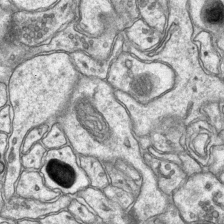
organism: Mouse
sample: CA1 Hippocampus